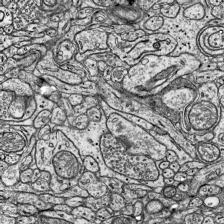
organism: Mouse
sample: Visual Cortex